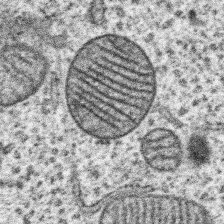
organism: Human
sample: HeLa cells